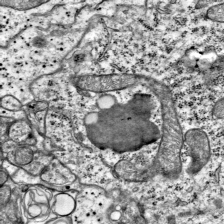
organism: Mouse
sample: Visual Cortex